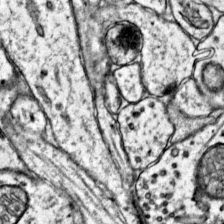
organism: Mouse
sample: Primary visual cortex